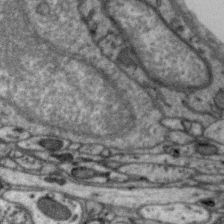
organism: Zebra finch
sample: Brain